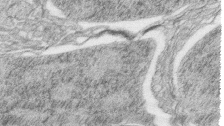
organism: Zebrafish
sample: synaptic ribbons in rod cells and cone cells